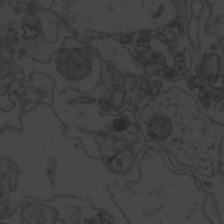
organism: Zebrafish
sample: Macrophage infected with Toxoplasma gondii